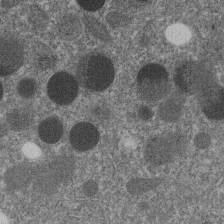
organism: C. elegans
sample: C. elegans embryo early stage